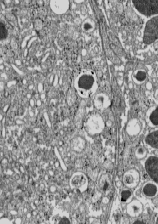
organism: C57BL Mouse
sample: Pancreatic islet